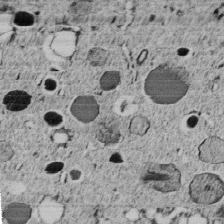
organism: C. elegans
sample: C. elegans embryo early stage